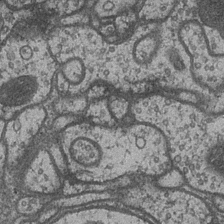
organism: Drosophila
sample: Optic medulla